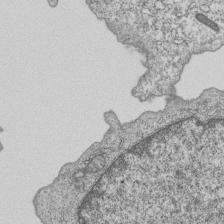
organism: Human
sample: MDA-MB-231 cells